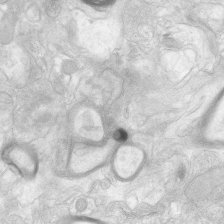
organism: Human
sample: Neocortex